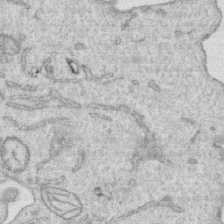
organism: Human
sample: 1205lu cells